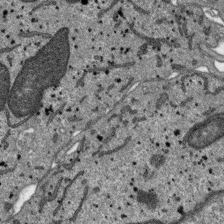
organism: Human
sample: Lung epithelial cells, uninfected (mock) control